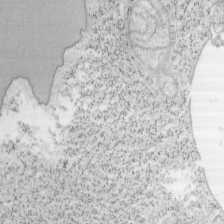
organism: Mouse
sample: OT-I killer T cells with ID8 ovarian cancer cells